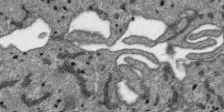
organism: Human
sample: Lung epithelial cells, uninfected (mock) control